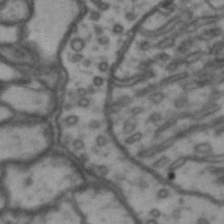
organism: Drosophila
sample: Brain